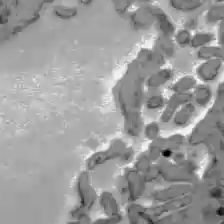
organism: C57BL Mouse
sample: Liver